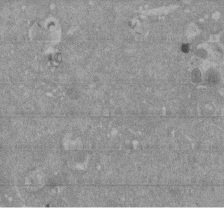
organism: Mouse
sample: ED-1 cell nuclei; centrioles